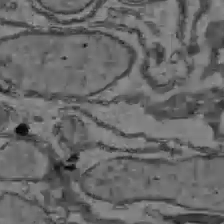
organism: C57BL Mouse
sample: Liver